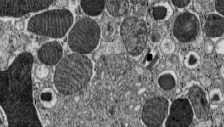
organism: C57BL Mouse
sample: Pancreatic islet